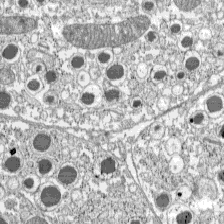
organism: C57BL Mouse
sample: Pancreatic islet